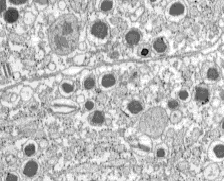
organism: C57BL Mouse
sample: Pancreatic islet